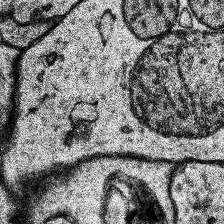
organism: Human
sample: Temporal Lobe